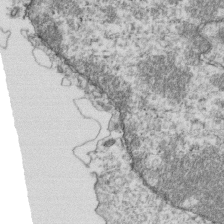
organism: Mouse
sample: Activated OT-1 CD8+ T cells